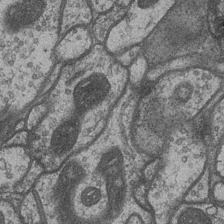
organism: Drosophila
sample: Optic medulla